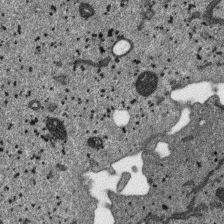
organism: Human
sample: Lung epithelial cells infected with SARS-CoV-2